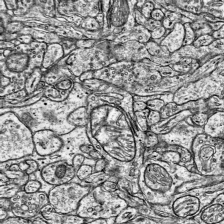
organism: Mouse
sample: Visual Cortex